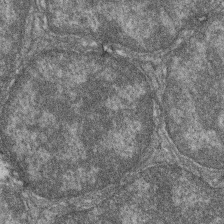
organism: Zebrafish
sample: Cilia; retinal pigment epithelium